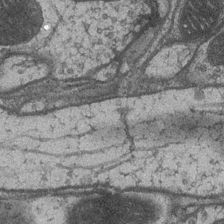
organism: Drosophila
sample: Optic medulla